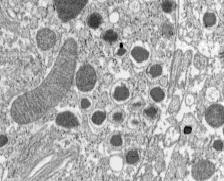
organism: C57BL Mouse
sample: Pancreatic islet